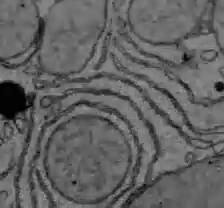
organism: C57BL Mouse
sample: Liver